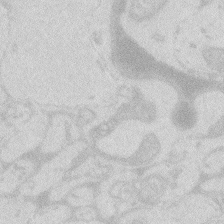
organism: Zebrafish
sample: Macrophage